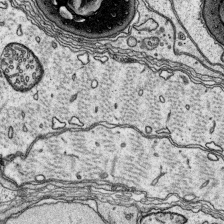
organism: Platynereis dumerilii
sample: Parapodia